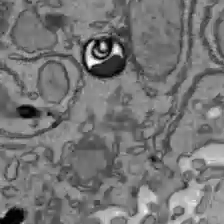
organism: C57BL Mouse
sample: Liver